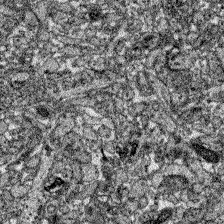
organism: Zebrafish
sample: Larval olfactory bulb